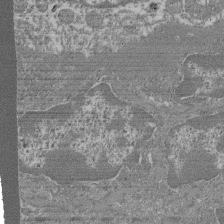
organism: Mouse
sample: Glomerulus